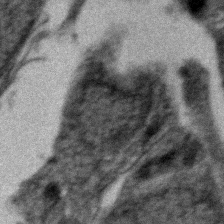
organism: Zebrafish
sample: Zebrafish embryo